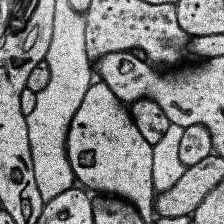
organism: Human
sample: Temporal Lobe